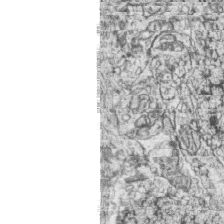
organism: Zebrafish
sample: synaptic ribbons in rod cells and cone cells